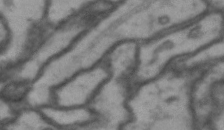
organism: Drosophila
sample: Brain